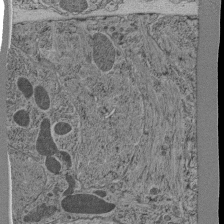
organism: C. elegans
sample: C. elegans pharynx